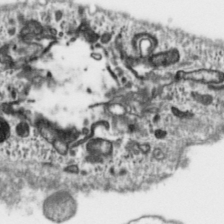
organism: Toxoplasma gondii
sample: Parasites in a vacuole inside a host cell